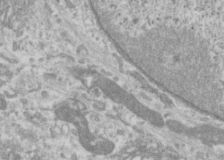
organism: Human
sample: Cilia; basal body in RPE cells